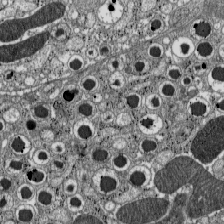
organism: C57BL Mouse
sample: Pancreatic islet